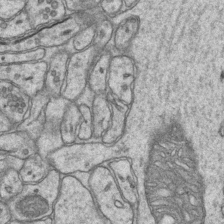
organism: Mouse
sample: CA1 Hippocampus